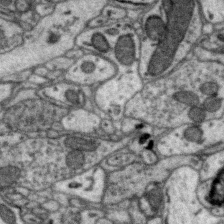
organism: Zebra finch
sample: Brain